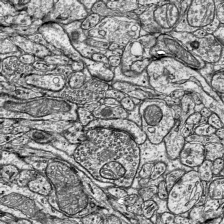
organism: Mouse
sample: Visual Cortex